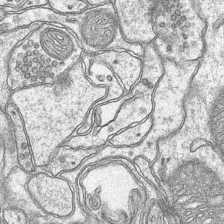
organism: Mouse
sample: CA1 Hippocampus